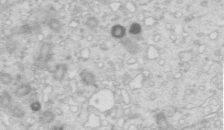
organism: Mouse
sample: Multiciliated cells